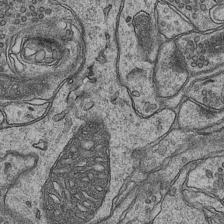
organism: Mouse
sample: CA1 Hippocampus